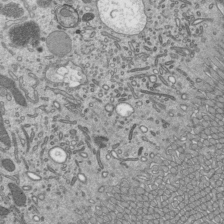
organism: Mouse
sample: Mouse epididymis efferent ductule cilia